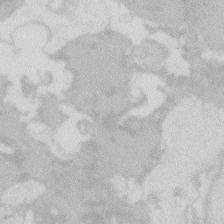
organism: Zebrafish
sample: Macrophage